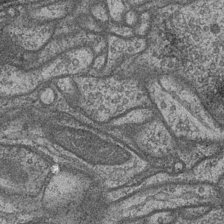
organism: Drosophila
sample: Optic medulla